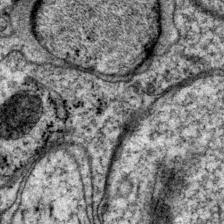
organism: P. pacificus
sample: Pharynx